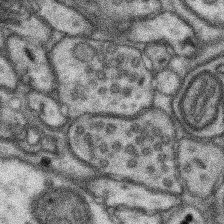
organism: Mouse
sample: Somatosensory cortex neuropil